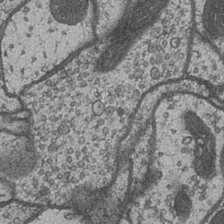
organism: Drosophila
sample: Optic medulla